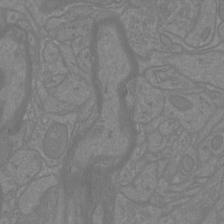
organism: Mouse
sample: Cortical neurons